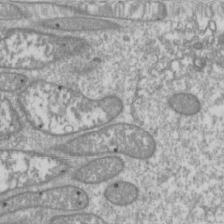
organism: Drosophila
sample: Cell division; meiosis; drosophila spermatocytes